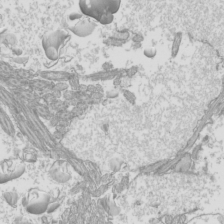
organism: Mouse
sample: Cilia; mouse epididymis